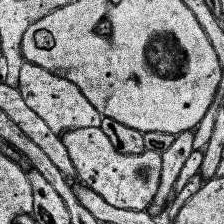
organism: Human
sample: Temporal Lobe